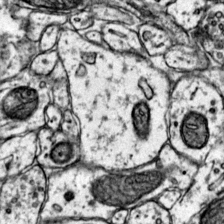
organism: Mouse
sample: Primary visual cortex